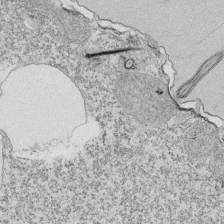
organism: Tetrahymena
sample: Cilia in tetrahymena